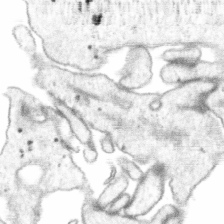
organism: Human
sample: HeLa cells